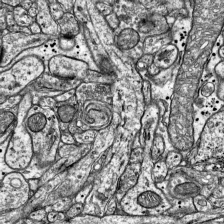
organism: Mouse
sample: Visual Cortex